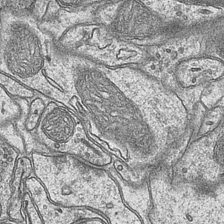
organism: Mouse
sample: CA1 Hippocampus